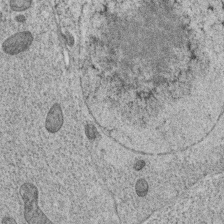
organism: C. elegans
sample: C. elegans oocyte; sperm cells